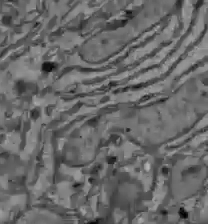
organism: C57BL Mouse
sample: Liver